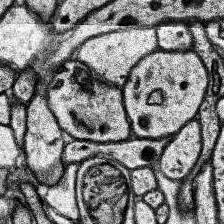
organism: Human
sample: Temporal Lobe